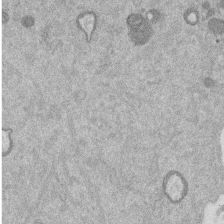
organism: Mouse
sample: Dividing mouse embryo 1 cell stage